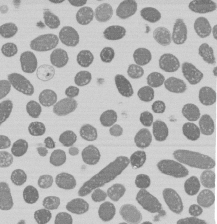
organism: E. coli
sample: Bacterial nucleoid